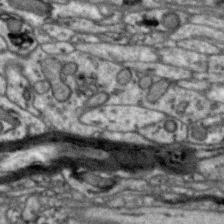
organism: Zebra finch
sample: Brain